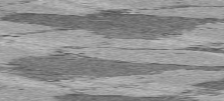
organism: C57BL Mouse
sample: Heart